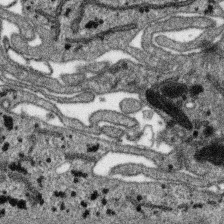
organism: Human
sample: Lung epithelial cells infected with SARS-CoV-2